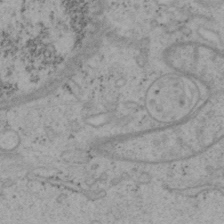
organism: Human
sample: HeLa cells